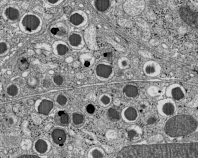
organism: C57BL Mouse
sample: Pancreatic islet